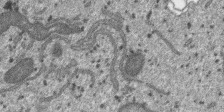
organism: Human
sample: Lung epithelial cells infected with SARS-CoV-2